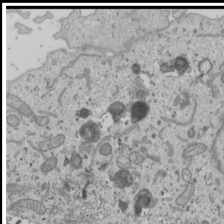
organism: Human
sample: Mitochondria in U2OS cells